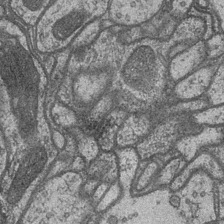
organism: Drosophila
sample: Optic medulla